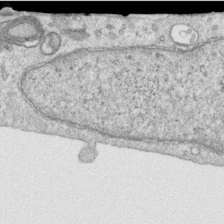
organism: Human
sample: Centriole in RPE cells